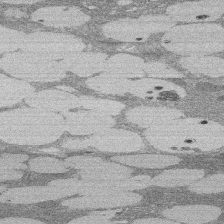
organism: Rat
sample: Salivary granule